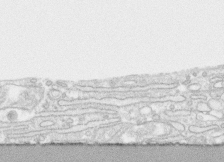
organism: Human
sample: CRL-1474